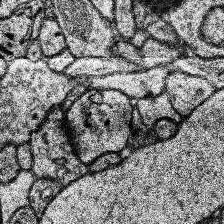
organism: Human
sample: Temporal Lobe